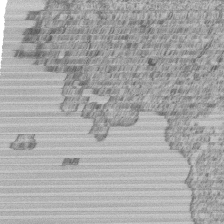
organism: Human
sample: MDA-MB-231 cells